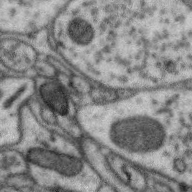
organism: Zebra finch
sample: Brain